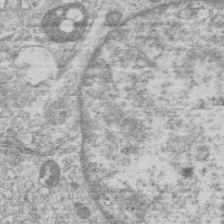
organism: Human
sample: Macrophage cells